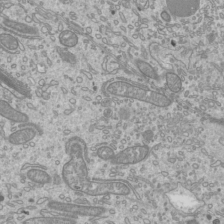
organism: Mouse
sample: Cilia; mouse epididymis